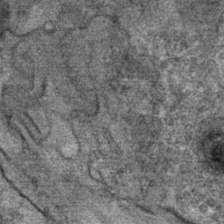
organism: Mouse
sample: Mouse Salivary gland